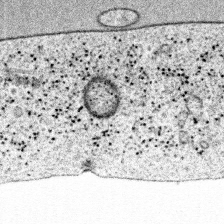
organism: Human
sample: HeLa cells